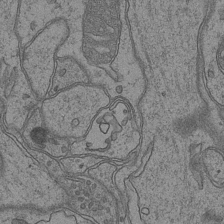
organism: Mouse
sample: CA1 Hippocampus